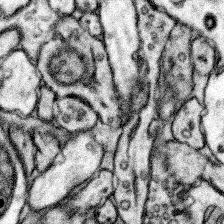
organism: Mouse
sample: Somatosensory cortex neuropil